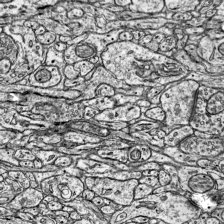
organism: Mouse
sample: Visual Cortex